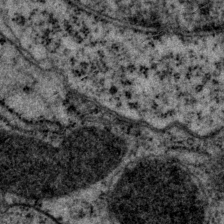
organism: P. pacificus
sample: Pharynx